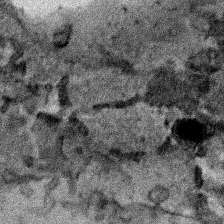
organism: Human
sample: Mitochondria in HCT116 cells